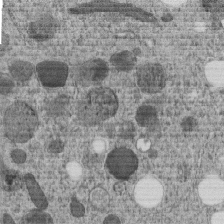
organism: C. elegans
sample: C. elegans embryo early stage